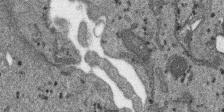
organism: Human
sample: Lung epithelial cells infected with SARS-CoV-2